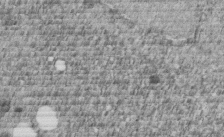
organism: C. elegans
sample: C. elegans embryo early stage